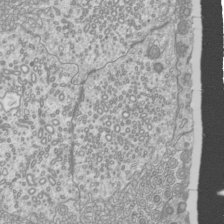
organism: Mouse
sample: Cilia; mouse epididymis